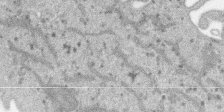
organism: Human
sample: Lung epithelial cells infected with SARS-CoV-2